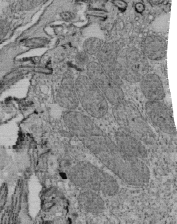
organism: Tetrahymena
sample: Cilia in tetrahymena